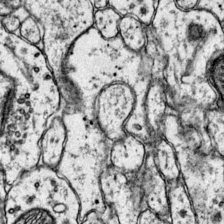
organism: Mouse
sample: Primary visual cortex